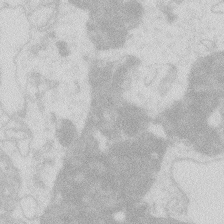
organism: Zebrafish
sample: Macrophage